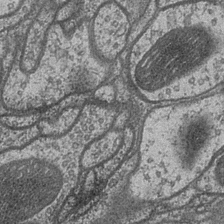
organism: Drosophila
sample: Optic medulla